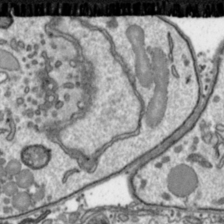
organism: Toxoplasma gondii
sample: Parasites in a vacuole inside a host cell